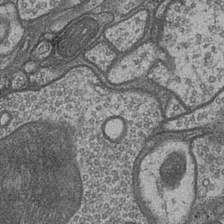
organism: Drosophila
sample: Optic medulla